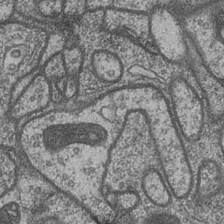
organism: Drosophila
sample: Optic medulla